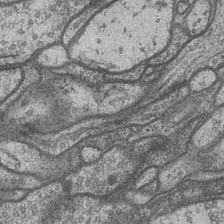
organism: Drosophila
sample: Optic medulla